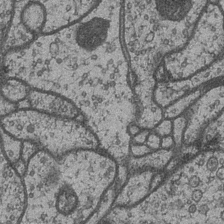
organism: Drosophila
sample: Optic medulla